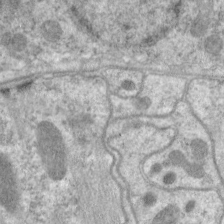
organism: C. elegans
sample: Pharynx